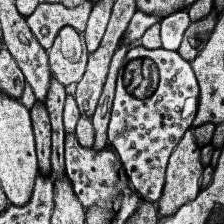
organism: Human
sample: Temporal Lobe